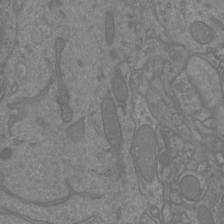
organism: Mouse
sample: Cortical neurons